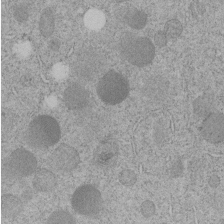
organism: C. elegans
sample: C. elegans embryo early stage